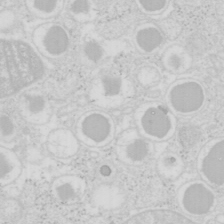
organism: Mouse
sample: Pancreas